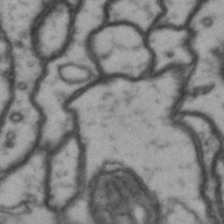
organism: Drosophila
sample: Brain